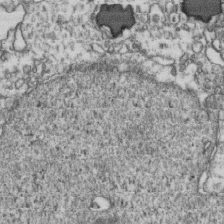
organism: Human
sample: Activated Jurkat CD4+ T cells